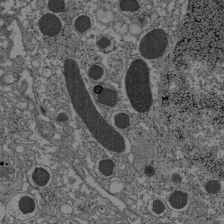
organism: C57BL Mouse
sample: Pancreatic islet